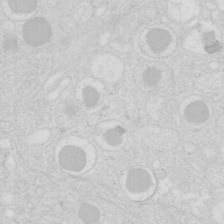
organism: Mouse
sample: Pancreas